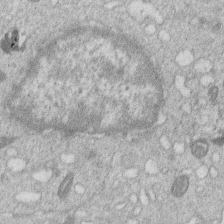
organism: Human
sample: Macrophage cells